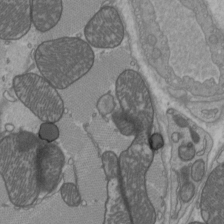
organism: C57BL Mouse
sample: Heart